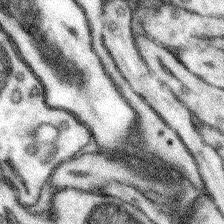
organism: Mouse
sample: Somatosensory cortex neuropil